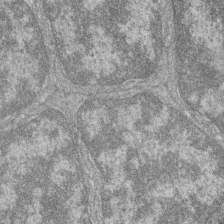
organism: Zebrafish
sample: Cilia; retinal pigment epithelium